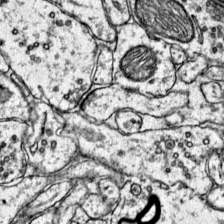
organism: Mouse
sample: Primary visual cortex